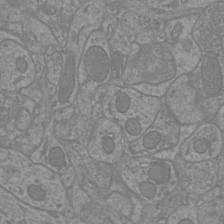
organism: Mouse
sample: Cortical neurons